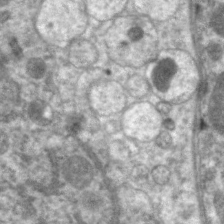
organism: C. elegans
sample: Pharynx